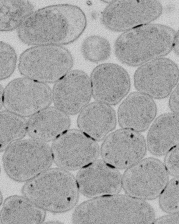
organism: E. coli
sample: Bacterial nucleoid